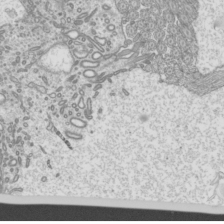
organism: Mouse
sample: Cilia; mouse epididymis